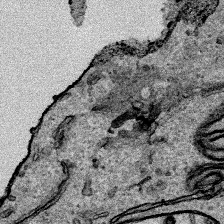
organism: Human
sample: Mitochondria in HCT116 cells